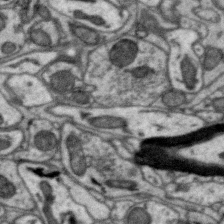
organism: Zebra finch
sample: Brain